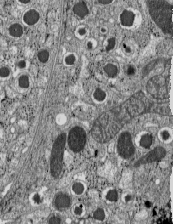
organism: C57BL Mouse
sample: Pancreatic islet